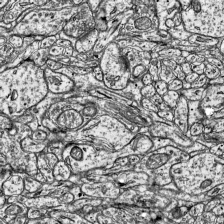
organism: Mouse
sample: Visual Cortex